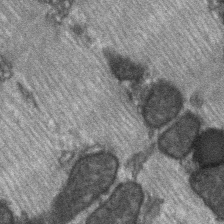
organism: C57BL Mouse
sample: Soleus